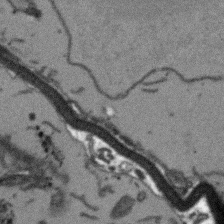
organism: Arabidopsis thaliana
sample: Root tip